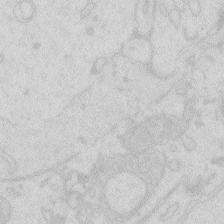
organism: Zebrafish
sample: Macrophage